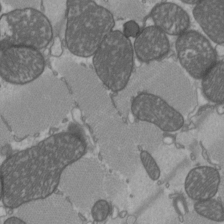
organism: C57BL Mouse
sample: Heart